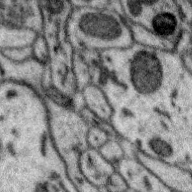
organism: Zebra finch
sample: Brain